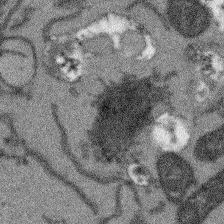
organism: Arabidopsis thaliana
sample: Root tip